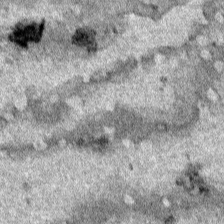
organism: Human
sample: Mitochondria in HCT116 cells